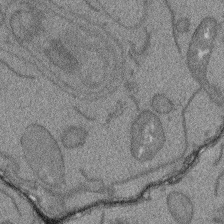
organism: Arabidopsis thaliana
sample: Root tip